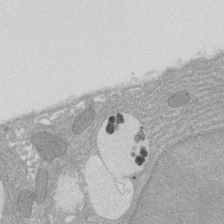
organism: Rat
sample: Salivary granule